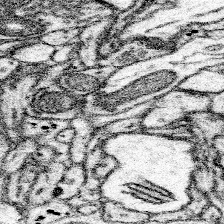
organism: Mouse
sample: Somatosensory cortex neuropil